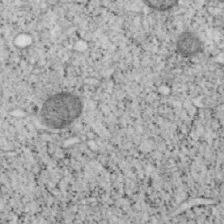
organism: Mouse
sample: OT-I killer T cells with ID8 ovarian cancer cells